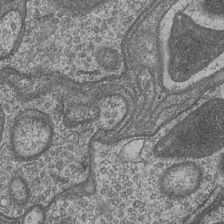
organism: Drosophila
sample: Optic medulla